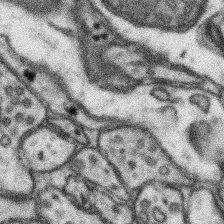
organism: Mouse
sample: Somatosensory cortex neuropil